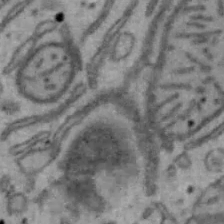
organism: Mouse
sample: Liver